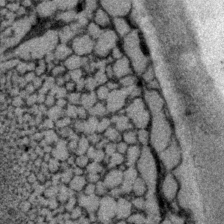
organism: P. pacificus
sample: Pharynx